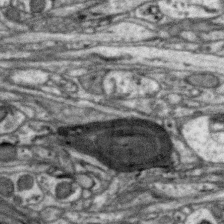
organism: Zebra finch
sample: Brain